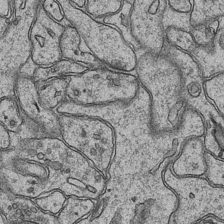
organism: Mouse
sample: CA1 Hippocampus